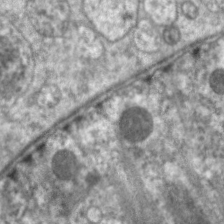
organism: C. elegans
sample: Pharynx